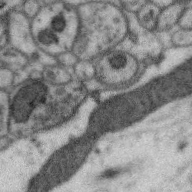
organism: Zebra finch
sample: Brain